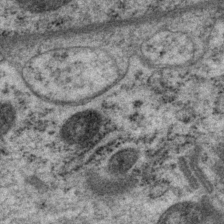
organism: P. pacificus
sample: Pharynx